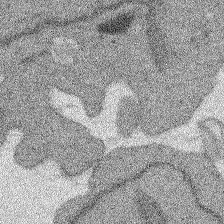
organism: Human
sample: HeLa cells